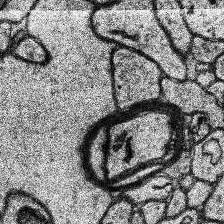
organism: Human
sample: Temporal Lobe